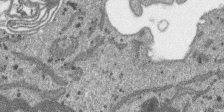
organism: Human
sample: Lung epithelial cells infected with SARS-CoV-2